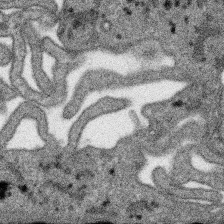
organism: Human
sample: Lung epithelial cells infected with SARS-CoV-2